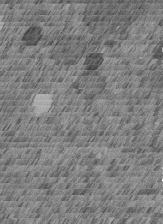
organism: C. elegans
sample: C. elegans embryo early stage